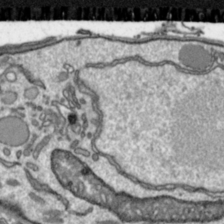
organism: Toxoplasma gondii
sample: Parasites in a vacuole inside a host cell